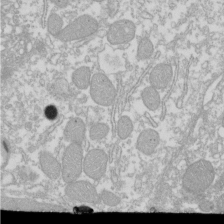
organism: Xenopus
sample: Cilia; centrioles in frog embryo cells